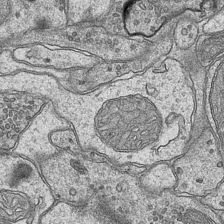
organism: Mouse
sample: CA1 Hippocampus